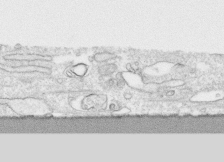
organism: Human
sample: CRL-1474